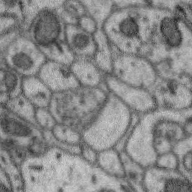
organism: Zebra finch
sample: Brain